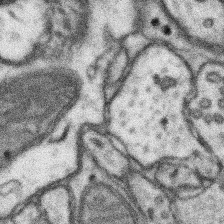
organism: Mouse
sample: Somatosensory cortex neuropil